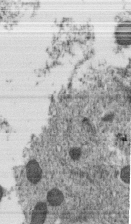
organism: C. elegans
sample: C. elegans embryo early stage